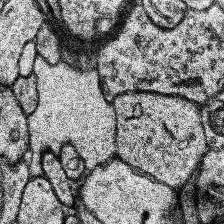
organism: Human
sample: Temporal Lobe